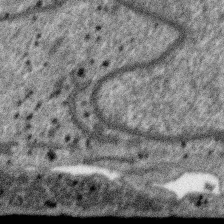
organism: Human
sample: Lung epithelial cells infected with SARS-CoV-2